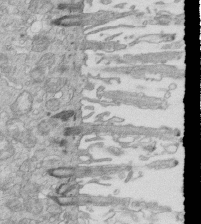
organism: Mouse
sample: Multiciliated cells